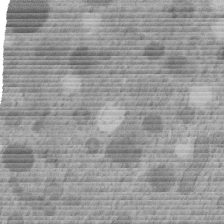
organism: C. elegans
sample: C. elegans embryo early stage